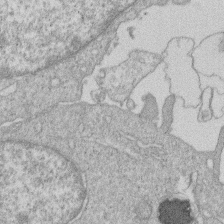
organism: Human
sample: Macrophage cells